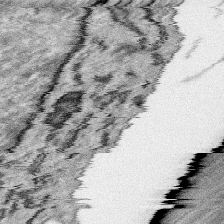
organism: Human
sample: HeLa cells